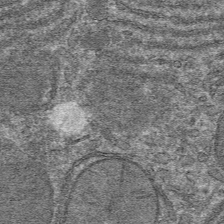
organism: Mouse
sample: Mouse hepatocytes